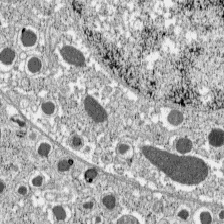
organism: C57BL Mouse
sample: Pancreatic islet